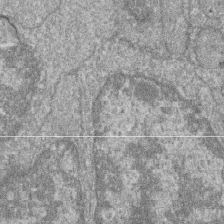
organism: Zebrafish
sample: Cilia; retinal pigment epithelium